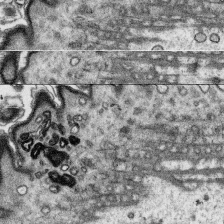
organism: Platynereis dumerilii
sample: Parapodia